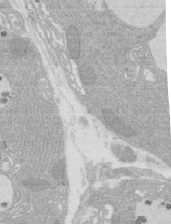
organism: Rat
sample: Salivary granule